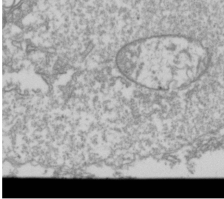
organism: Drosophila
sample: Cell division; meiosis; drosophila spermatocytes